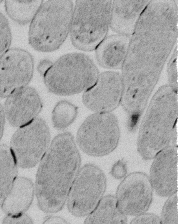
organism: E. coli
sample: Bacterial nucleoid